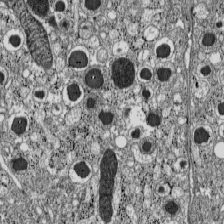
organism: C57BL Mouse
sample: Pancreatic islet